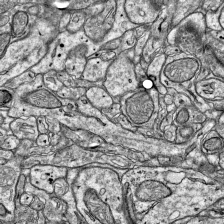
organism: Mouse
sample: Visual Cortex